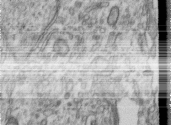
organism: Human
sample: Centriole in RPE cells